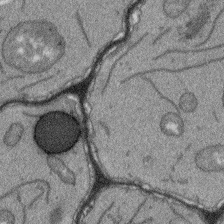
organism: Arabidopsis thaliana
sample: Root tip